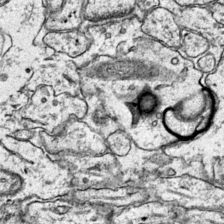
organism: Mouse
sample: Primary visual cortex